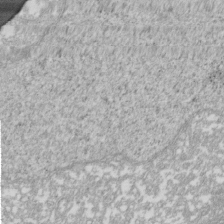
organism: Xenopus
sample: Cilia; centrioles in frog embryo cells